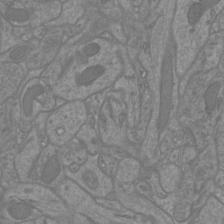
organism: Mouse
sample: Cortical neurons